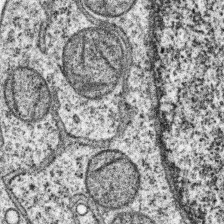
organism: Human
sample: HeLa cells